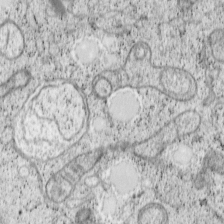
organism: African green monkey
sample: COS-7 cells